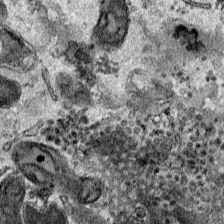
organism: Human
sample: Mitochondria in HCT116 cells